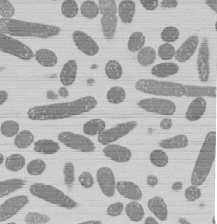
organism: E. coli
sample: Bacterial nucleoid